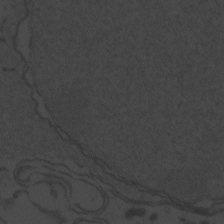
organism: Zebrafish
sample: Macrophage infected with Toxoplasma gondii